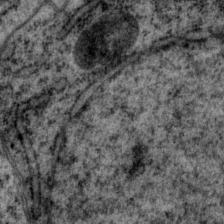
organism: P. pacificus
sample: Pharynx